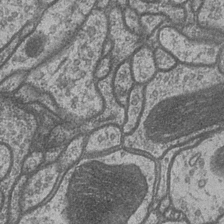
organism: Drosophila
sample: Optic medulla